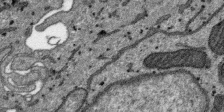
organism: Human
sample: Lung epithelial cells, uninfected (mock) control